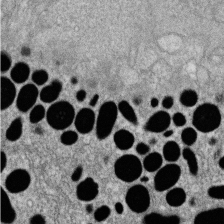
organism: Zebrafish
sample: Cilia; retinal pigment epithelium